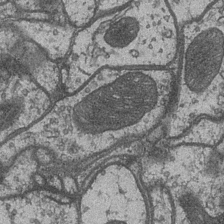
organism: Drosophila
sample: Optic medulla